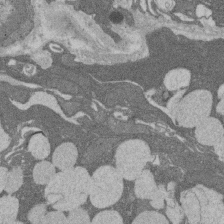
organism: Rat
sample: Salivary granule